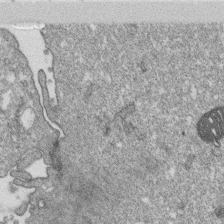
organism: African green monkey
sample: Vero E6 cells infected with SARS-CoV-2